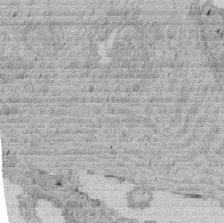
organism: Rat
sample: Salivary granule